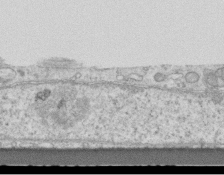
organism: Mouse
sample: Centriole in ependymal cells